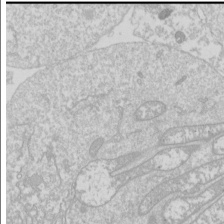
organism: Drosophila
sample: Cell division; meiosis; drosophila spermatocytes